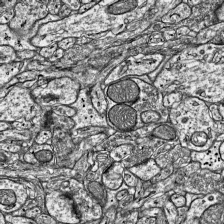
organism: Mouse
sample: Visual Cortex